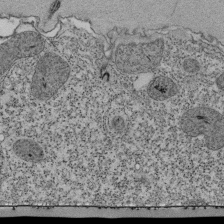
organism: Tetrahymena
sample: Cilia in tetrahymena